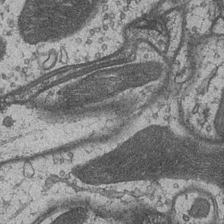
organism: Drosophila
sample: Optic medulla